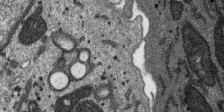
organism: Human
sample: Lung epithelial cells infected with SARS-CoV-2